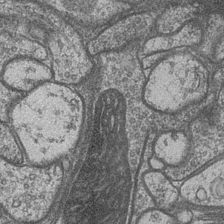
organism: Drosophila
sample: Optic medulla